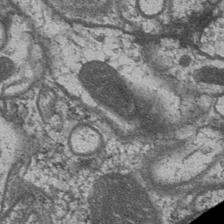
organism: Drosophila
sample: Optic medulla